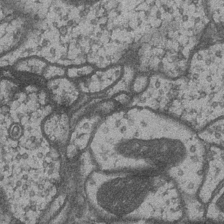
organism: Drosophila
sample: Optic medulla